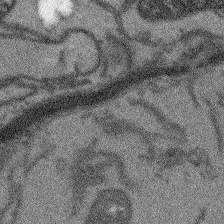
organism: Arabidopsis thaliana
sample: Root tip